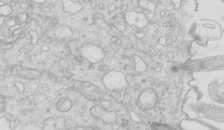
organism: Mouse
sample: Multiciliated cells